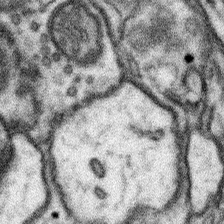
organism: Mouse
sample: Somatosensory cortex neuropil